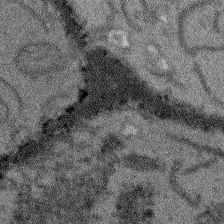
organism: Arabidopsis thaliana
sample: Root tip